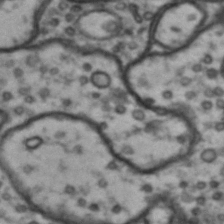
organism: Drosophila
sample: Brain